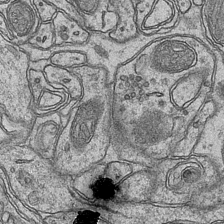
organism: Mouse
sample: CA1 Hippocampus